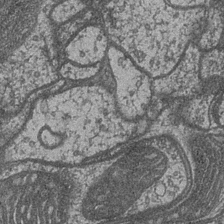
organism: Drosophila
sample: Optic medulla